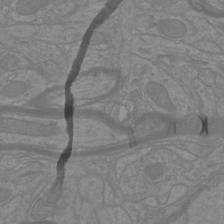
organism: Mouse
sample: Cortical neurons